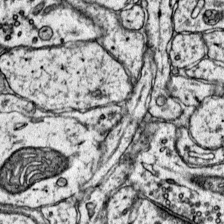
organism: Mouse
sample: Primary visual cortex